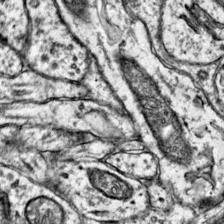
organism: Mouse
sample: Primary visual cortex